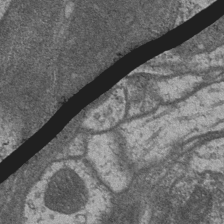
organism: Drosophila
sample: Optic medulla